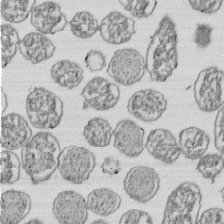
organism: E. coli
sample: Bacterial nucleoid